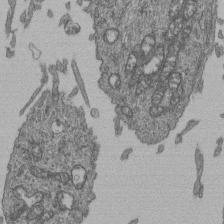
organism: Human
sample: Retinal organoid Rod and Cone cells